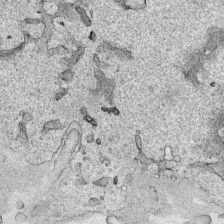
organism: Human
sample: Mitochondria in HCT116 cells